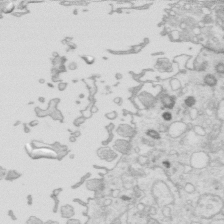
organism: Mouse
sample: Multiciliated cells